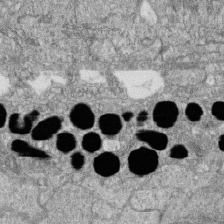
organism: Zebrafish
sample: Cilia; retinal pigment epithelium